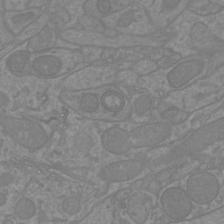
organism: Mouse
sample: Cortical neurons